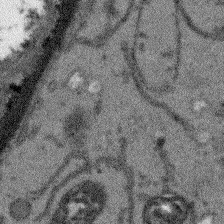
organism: Arabidopsis thaliana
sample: Root tip